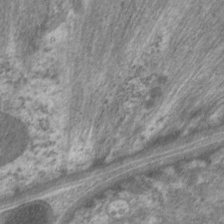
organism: C. elegans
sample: Pharynx